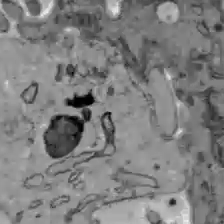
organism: C57BL Mouse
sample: Liver